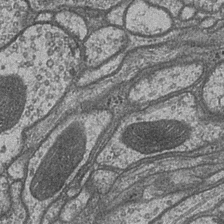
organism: Drosophila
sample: Optic medulla